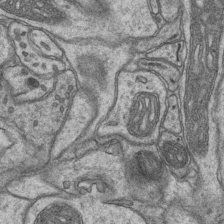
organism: Mouse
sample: CA1 Hippocampus